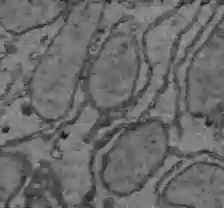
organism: C57BL Mouse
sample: Liver